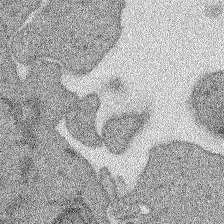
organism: Human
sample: HeLa cells